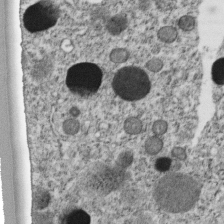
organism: C. elegans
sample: C. elegans embryo early stage